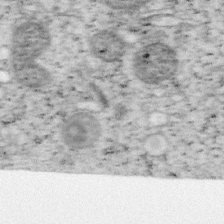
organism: Mouse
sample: OT-I killer T cells with ID8 ovarian cancer cells